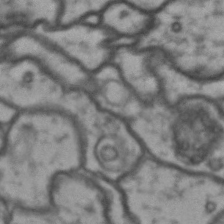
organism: Drosophila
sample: Brain